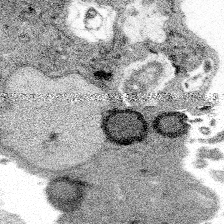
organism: Spongilla lacustris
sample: Multiple